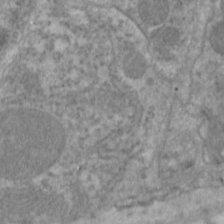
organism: C. elegans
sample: Pharynx